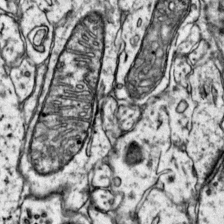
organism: Mouse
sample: Primary visual cortex